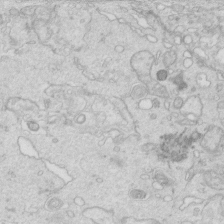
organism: Mouse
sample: Multiciliated cells